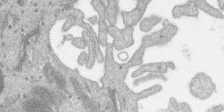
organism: Human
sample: Lung epithelial cells infected with SARS-CoV-2